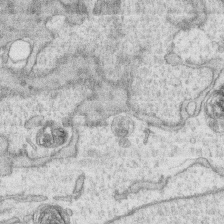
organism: Human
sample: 1205lu cells